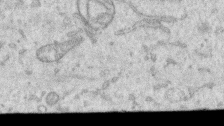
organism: Human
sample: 1205lu cells